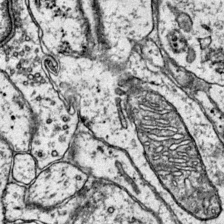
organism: Mouse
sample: Primary visual cortex